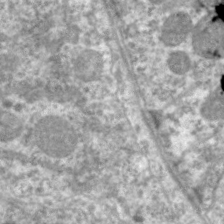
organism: C. elegans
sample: Pharynx